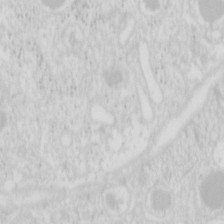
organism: Mouse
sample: Pancreas